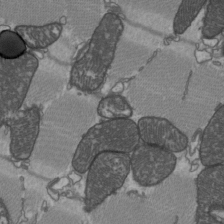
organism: C57BL Mouse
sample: Heart